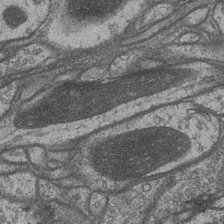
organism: Drosophila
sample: Optic medulla